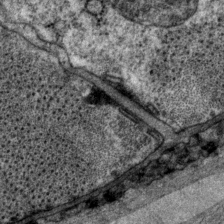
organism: P. pacificus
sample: Pharynx